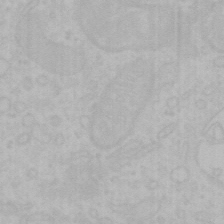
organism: Mouse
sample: Choroid plexus